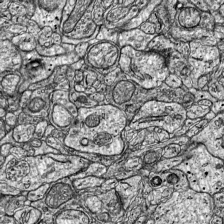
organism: Mouse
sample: Visual Cortex